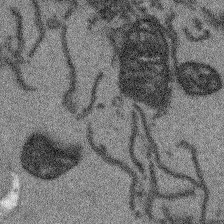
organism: Arabidopsis thaliana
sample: Root tip